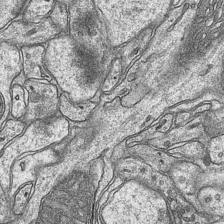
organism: Mouse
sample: CA1 Hippocampus